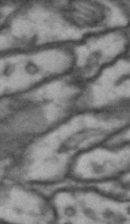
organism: Drosophila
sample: Brain